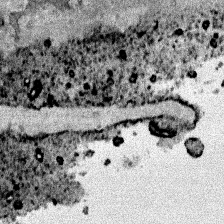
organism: Human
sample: Mitochondria in HCT116 cells